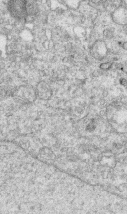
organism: Human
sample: HeLa cell HIV synapse